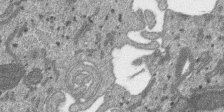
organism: Human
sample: Lung epithelial cells infected with SARS-CoV-2